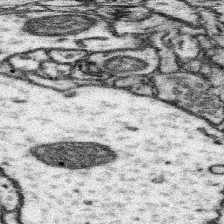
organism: Mouse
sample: Somatosensory cortex neuropil